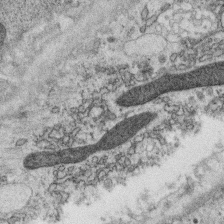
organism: C. elegans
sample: C. elegans oocyte; sperm cells